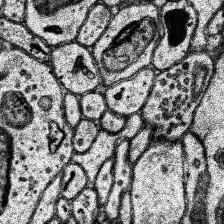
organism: Human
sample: Temporal Lobe